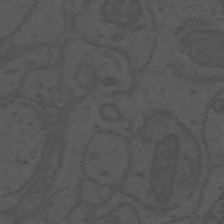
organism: Mouse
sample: Suprachiasmatic nucleus